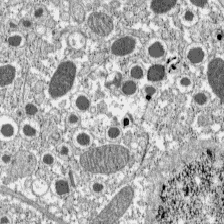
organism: C57BL Mouse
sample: Pancreatic islet